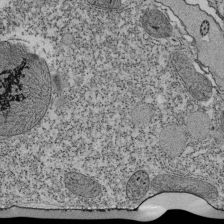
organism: Tetrahymena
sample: Cilia in tetrahymena